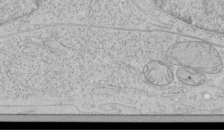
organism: Human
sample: Mitochondria in HCT116 cells